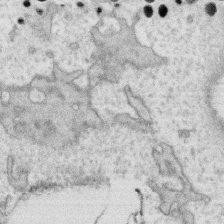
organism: Human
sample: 1205lu cells